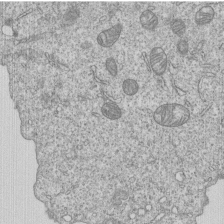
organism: Human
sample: MDA-MB-231 cells